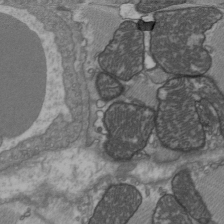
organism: C57BL Mouse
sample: Heart